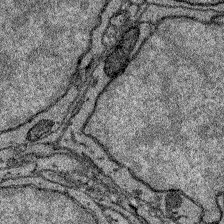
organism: Zebrafish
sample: Larval olfactory bulb